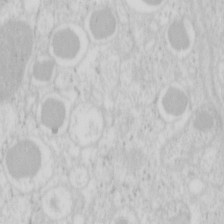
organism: Mouse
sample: Pancreas